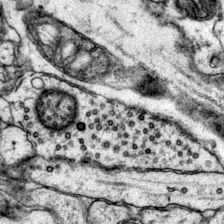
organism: Mouse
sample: Primary visual cortex